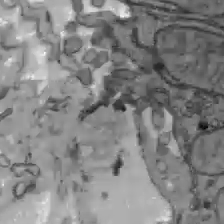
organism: C57BL Mouse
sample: Liver